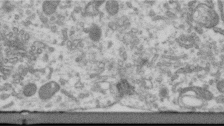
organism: Human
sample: Centriole in RPE cells